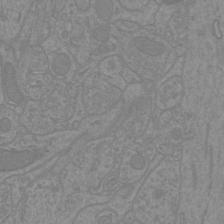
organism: Mouse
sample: Cortical neurons